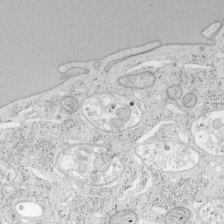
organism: Mouse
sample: OT-I killer T cells with ID8 ovarian cancer cells